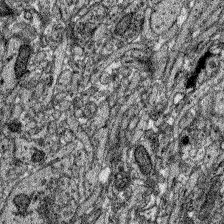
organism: Zebrafish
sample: Larval olfactory bulb